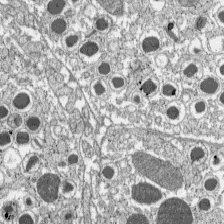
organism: C57BL Mouse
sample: Pancreatic islet